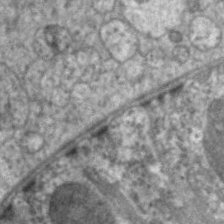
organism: C. elegans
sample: Pharynx